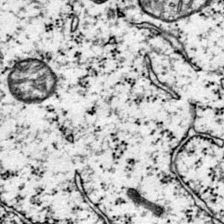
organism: Mouse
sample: Primary visual cortex